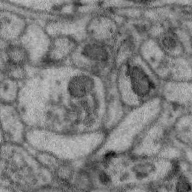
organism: Zebra finch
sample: Brain